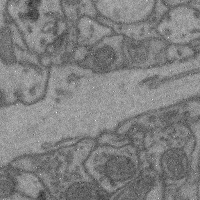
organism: Mouse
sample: Cerebral cortex